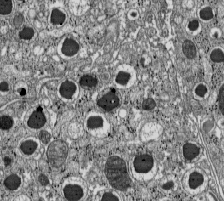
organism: C57BL Mouse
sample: Pancreatic islet